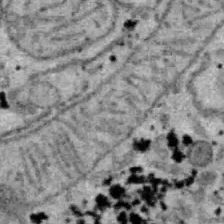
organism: Mouse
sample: Liver from an obese (ob/ob) mouse